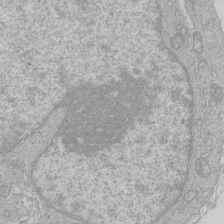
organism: Human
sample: Macrophage cells